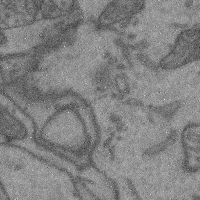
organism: Mouse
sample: Cerebral cortex